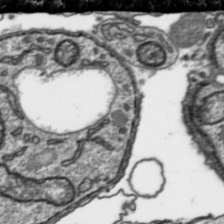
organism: Toxoplasma gondii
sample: Parasites in a vacuole inside a host cell